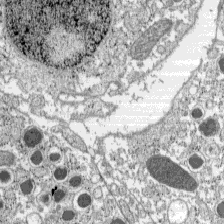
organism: C57BL Mouse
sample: Pancreatic islet